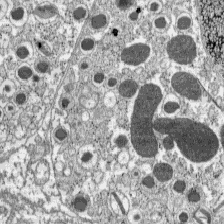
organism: C57BL Mouse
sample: Pancreatic islet